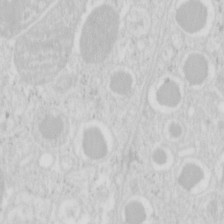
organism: Mouse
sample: Pancreas